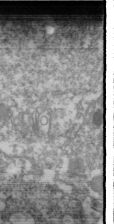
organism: Drosophila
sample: Cell division; meiosis; drosophila spermatocytes